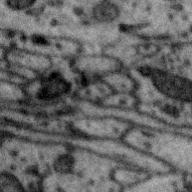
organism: Zebra finch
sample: Brain